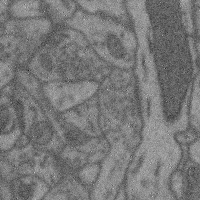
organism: Mouse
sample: Cerebral cortex